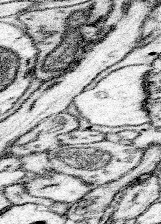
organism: Mouse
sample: Somatosensory cortex neuropil